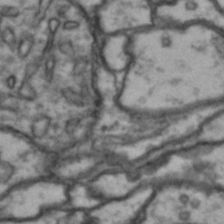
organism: Drosophila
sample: Brain